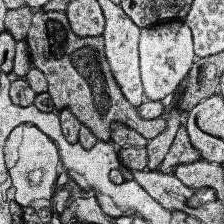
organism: Human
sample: Temporal Lobe